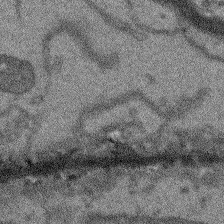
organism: Arabidopsis thaliana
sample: Root tip